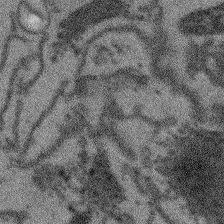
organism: Arabidopsis thaliana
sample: Root tip